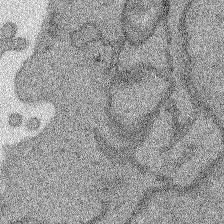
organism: Human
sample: HeLa cells